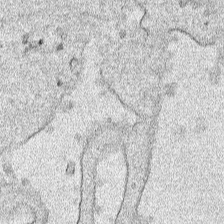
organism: Human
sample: Mitochondria in HCT116 cells